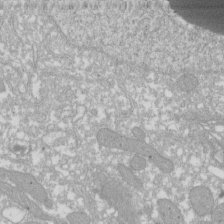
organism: Xenopus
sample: Cilia; centrioles in frog embryo cells